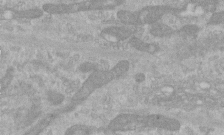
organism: Human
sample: Centriole in RPE cells